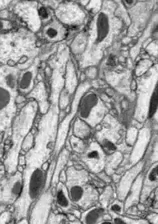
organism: Drosophila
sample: Optic lobe